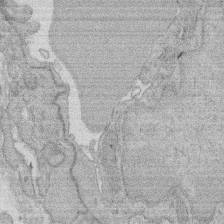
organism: Rat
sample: Salivary granule